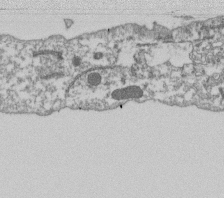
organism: Dictyostelium discoideum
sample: Dictyostelium multivesicular bodies